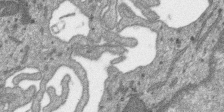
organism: Human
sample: Lung epithelial cells infected with SARS-CoV-2